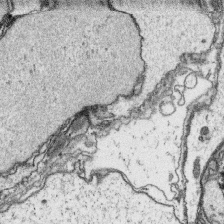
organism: Platynereis dumerilii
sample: Parapodia